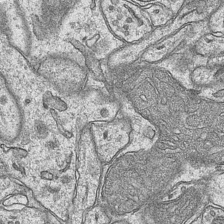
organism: Mouse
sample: CA1 Hippocampus